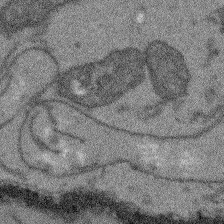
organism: Arabidopsis thaliana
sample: Root tip